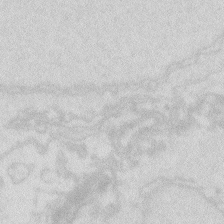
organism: Zebrafish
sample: Macrophage